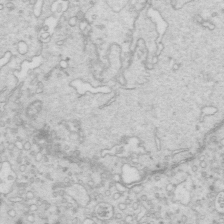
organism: Mouse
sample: Multiciliated cells